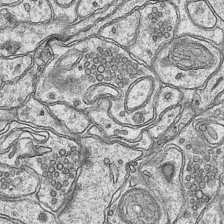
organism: Mouse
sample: CA1 Hippocampus